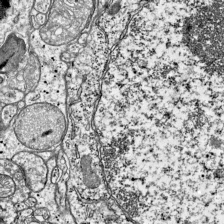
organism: Mouse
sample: Visual Cortex